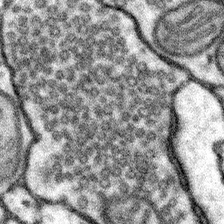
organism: Mouse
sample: Somatosensory cortex neuropil